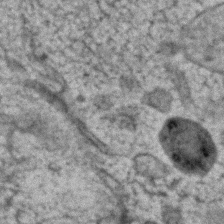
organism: Human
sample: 1205lu cells